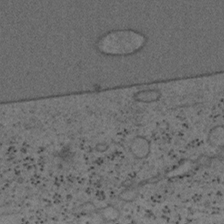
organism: Human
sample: HeLa cells